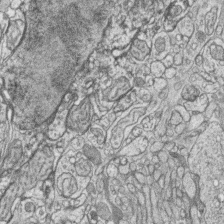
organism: Zebrafish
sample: synaptic ribbons in rod cells and cone cells